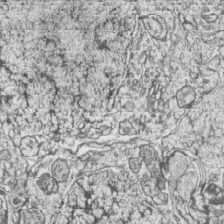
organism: Zebrafish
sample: synaptic ribbons in rod cells and cone cells